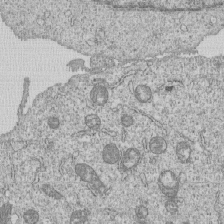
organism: Human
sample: MDA-MB-231 cells